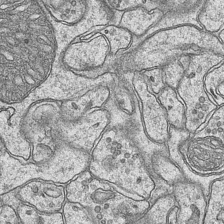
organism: Mouse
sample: CA1 Hippocampus